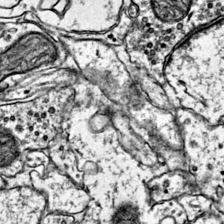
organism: Mouse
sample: Primary visual cortex